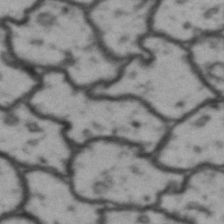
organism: Drosophila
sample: Brain